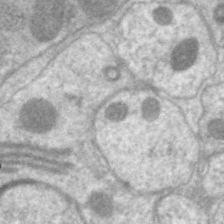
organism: C. elegans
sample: Pharynx